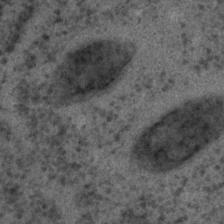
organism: C. elegans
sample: C. elegans embryo